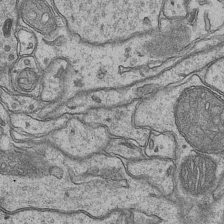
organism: Mouse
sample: CA1 Hippocampus